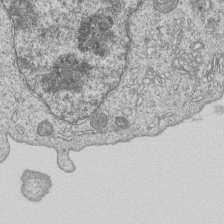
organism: Human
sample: MDA-MB-231 cells